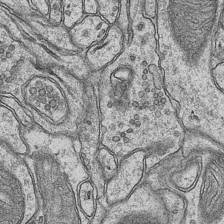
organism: Mouse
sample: CA1 Hippocampus